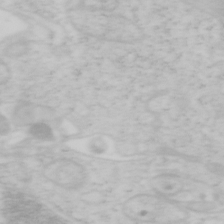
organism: Mouse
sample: OT-I killer T cells with ID8 ovarian cancer cells